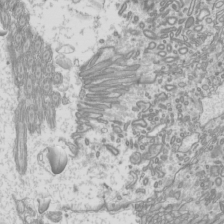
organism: Mouse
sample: Cilia; mouse epididymis